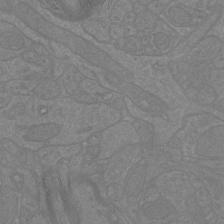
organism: Mouse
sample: Cortical neurons